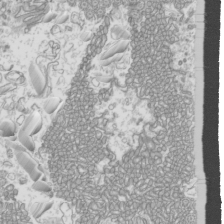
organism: Mouse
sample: Cilia; mouse epididymis